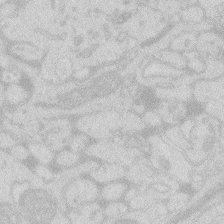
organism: Zebrafish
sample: Macrophage